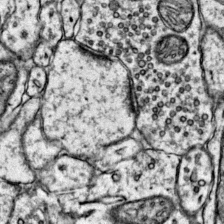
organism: Mouse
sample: Primary visual cortex